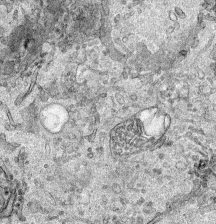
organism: Human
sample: Mitochondria in HCT116 cells